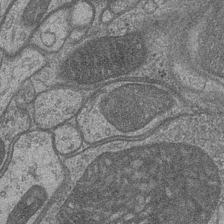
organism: Drosophila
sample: Optic medulla